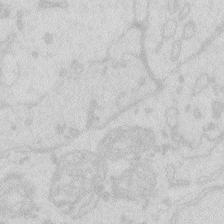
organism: Zebrafish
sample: Macrophage